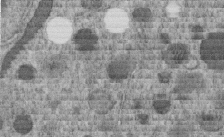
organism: C. elegans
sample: C. elegans embryo early stage